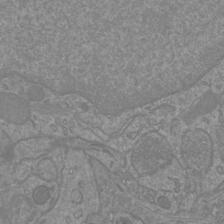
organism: Mouse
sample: Cortical neurons